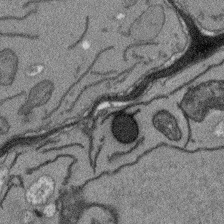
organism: Arabidopsis thaliana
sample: Root tip